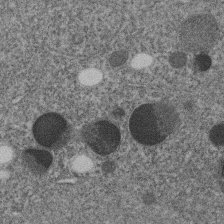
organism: C. elegans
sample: C. elegans embryo early stage